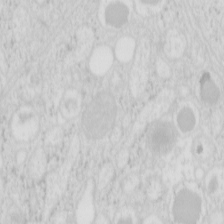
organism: Mouse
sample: Pancreas